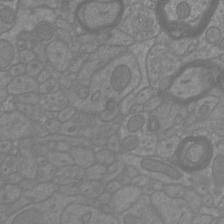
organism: Mouse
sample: Cortical neurons